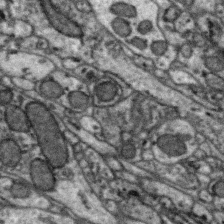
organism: Zebra finch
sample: Brain